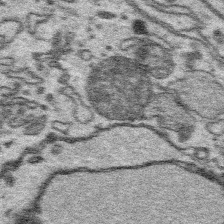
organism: Platynereis dumerilii